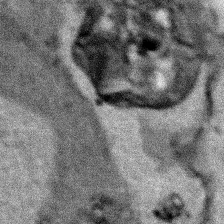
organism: Human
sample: Mitochondria in HCT116 cells